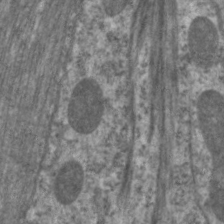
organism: C. elegans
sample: Pharynx